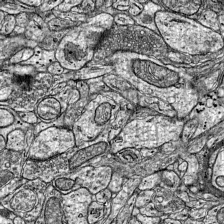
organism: Mouse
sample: Visual Cortex